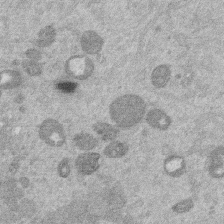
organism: Mouse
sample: Dividing mouse embryo 1 cell stage